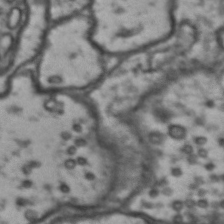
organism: Drosophila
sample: Brain